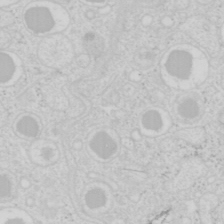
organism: Mouse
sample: Pancreas